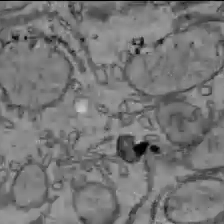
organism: C57BL Mouse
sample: Liver